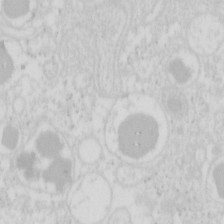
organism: Mouse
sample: Pancreas